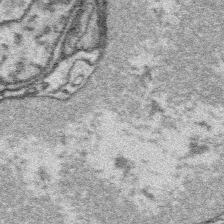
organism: Platynereis dumerilii